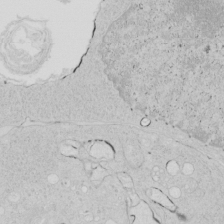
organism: Human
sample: Mitochondria in HCT116 cells